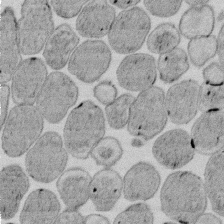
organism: E. coli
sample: Bacterial nucleoid